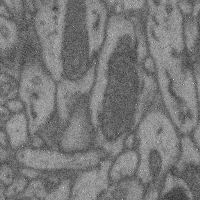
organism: Mouse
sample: Cerebral cortex